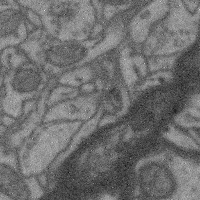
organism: Mouse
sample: Cerebral cortex